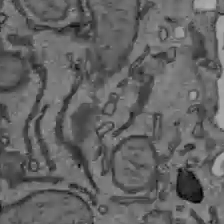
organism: C57BL Mouse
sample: Liver